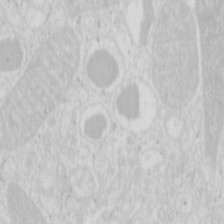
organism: Mouse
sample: Pancreas